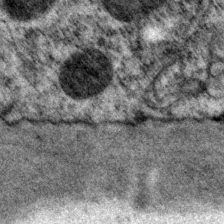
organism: P. pacificus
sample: Pharynx